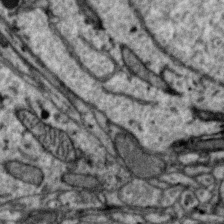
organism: Zebra finch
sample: Brain